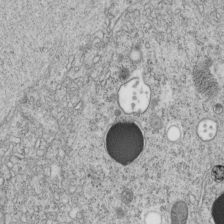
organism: C. elegans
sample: C. elegans embryo early stage